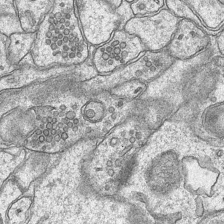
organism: Mouse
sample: CA1 Hippocampus